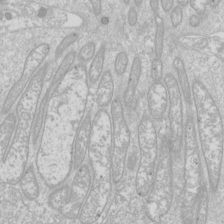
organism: Drosophila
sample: Cell division; meiosis; drosophila spermatocytes